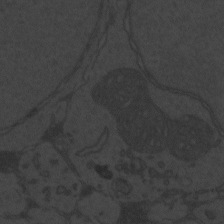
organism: Zebrafish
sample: Macrophage infected with Toxoplasma gondii